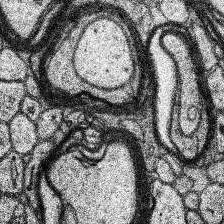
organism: Human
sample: Temporal Lobe